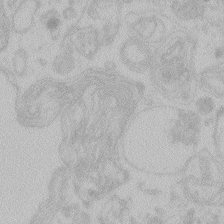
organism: Zebrafish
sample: Macrophage infected with Toxoplasma gondii